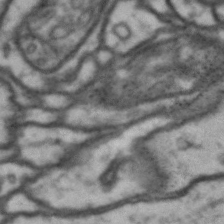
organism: Drosophila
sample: Brain